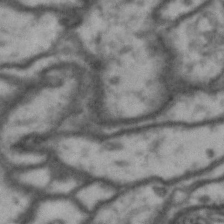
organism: Drosophila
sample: Brain